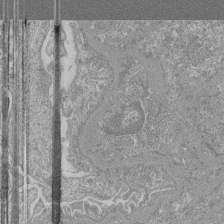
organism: Mouse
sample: Glomerulus